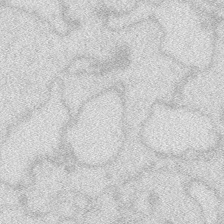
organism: Zebrafish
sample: Macrophage